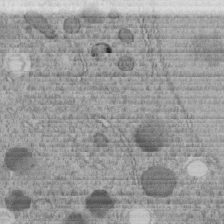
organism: C. elegans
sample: C. elegans embryo early stage